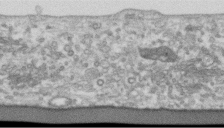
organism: Human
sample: Centriole in RPE cells